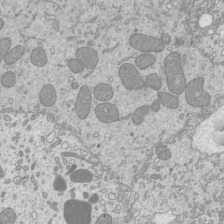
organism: Mouse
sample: Cilia; mouse epididymis